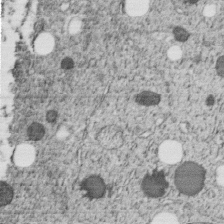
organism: C. elegans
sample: C. elegans embryo early stage